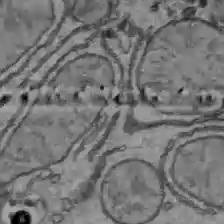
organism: C57BL Mouse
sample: Liver